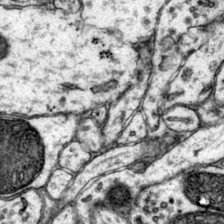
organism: Mouse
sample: Primary visual cortex